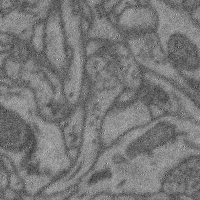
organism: Mouse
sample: Cerebral cortex